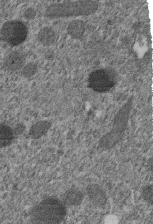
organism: C. elegans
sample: C. elegans embryo early stage